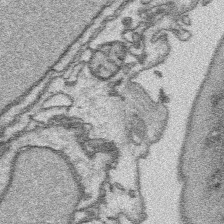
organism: Platynereis dumerilii